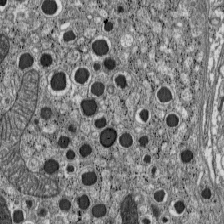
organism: C57BL Mouse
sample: Pancreatic islet